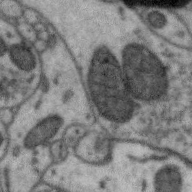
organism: Zebra finch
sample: Brain